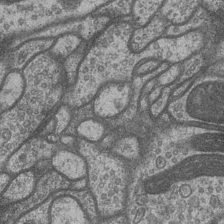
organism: Drosophila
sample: Optic medulla